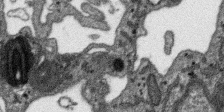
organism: Human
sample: Lung epithelial cells infected with SARS-CoV-2